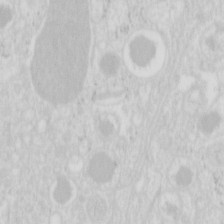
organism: Mouse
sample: Pancreas